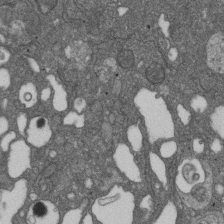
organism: Drosophila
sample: Nephrocyte